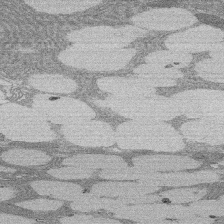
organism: Rat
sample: Salivary granule